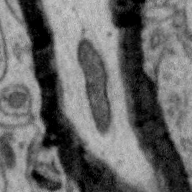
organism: Zebra finch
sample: Brain